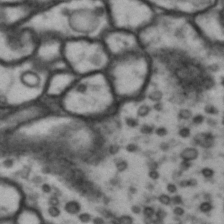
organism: Drosophila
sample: Brain